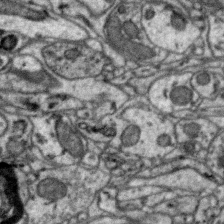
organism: Zebra finch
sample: Brain